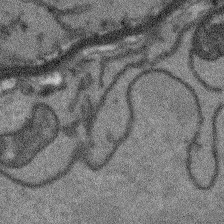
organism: Arabidopsis thaliana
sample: Root tip